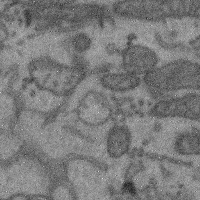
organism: Mouse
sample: Cerebral cortex